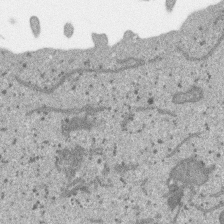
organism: Human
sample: Lung epithelial cells infected with SARS-CoV-2